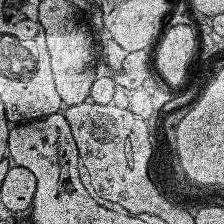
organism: Human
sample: Temporal Lobe